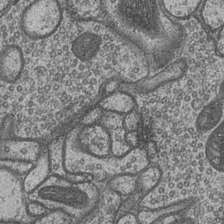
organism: Drosophila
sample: Optic medulla